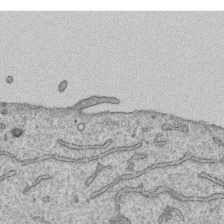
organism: Human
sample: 1205lu cells